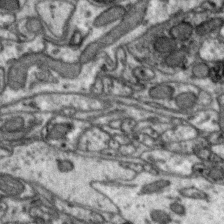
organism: Zebra finch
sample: Brain